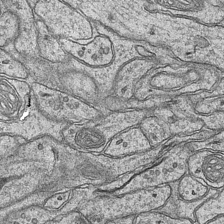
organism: Mouse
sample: CA1 Hippocampus